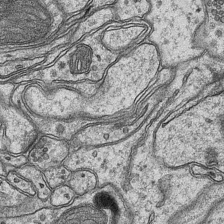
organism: Mouse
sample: CA1 Hippocampus